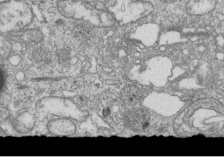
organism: Human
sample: HeLa cell HIV synapse